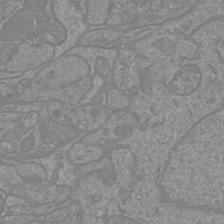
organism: Mouse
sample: Cortical neurons